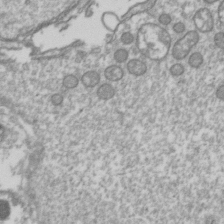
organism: Drosophila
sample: Cell division; meiosis; drosophila spermatocytes